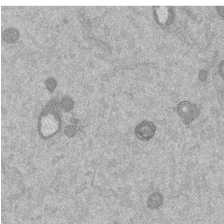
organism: Mouse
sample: Dividing mouse embryo 1 cell stage